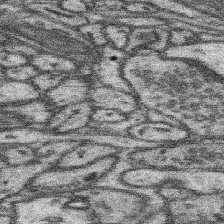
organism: Mouse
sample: Somatosensory cortex neuropil